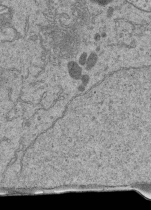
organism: Human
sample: Retinal organoid Rod and Cone cells